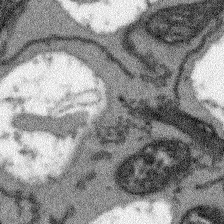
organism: Arabidopsis thaliana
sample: Root tip